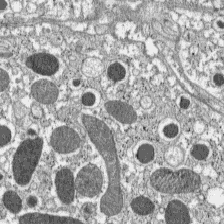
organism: C57BL Mouse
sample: Pancreatic islet